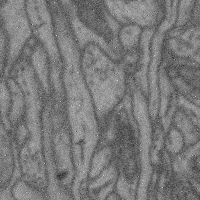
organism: Mouse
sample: Cerebral cortex